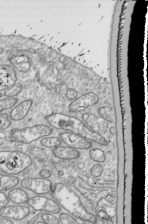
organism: Drosophila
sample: Cell division; meiosis; drosophila spermatocytes